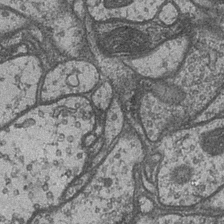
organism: Drosophila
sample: Optic medulla